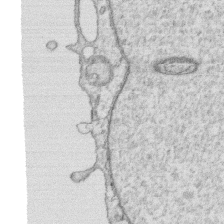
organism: Human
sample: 1205lu cells